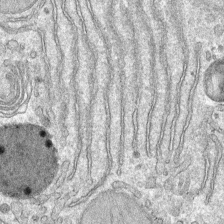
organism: Mouse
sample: Mouse hepatocytes